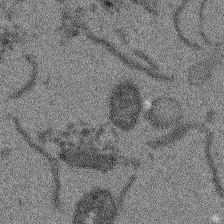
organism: Arabidopsis thaliana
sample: Root tip